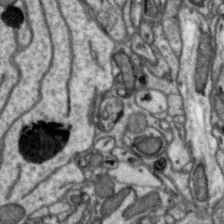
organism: Zebra finch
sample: Brain